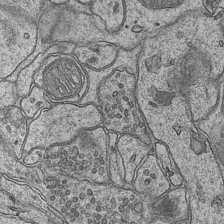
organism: Mouse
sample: CA1 Hippocampus